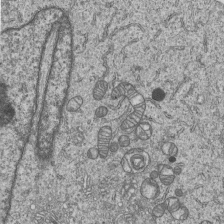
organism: Human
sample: MDA-MB-231 cells